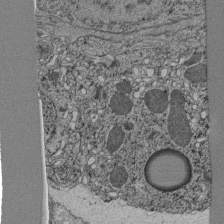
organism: C. elegans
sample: C. elegans pharynx